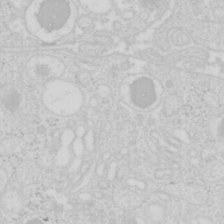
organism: Mouse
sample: Pancreas